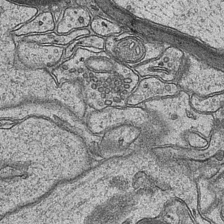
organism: Mouse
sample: CA1 Hippocampus